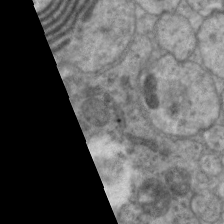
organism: C. elegans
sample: Pharynx